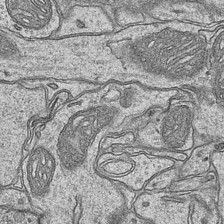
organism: Mouse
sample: CA1 Hippocampus